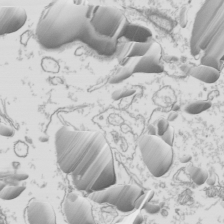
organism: Mouse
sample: Cilia; mouse epididymis